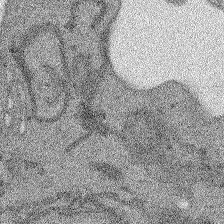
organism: Human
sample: HeLa cells